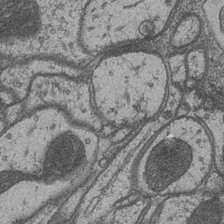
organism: Drosophila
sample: Optic medulla